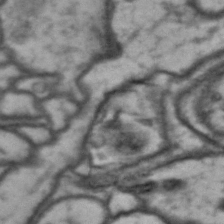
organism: Drosophila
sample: Brain